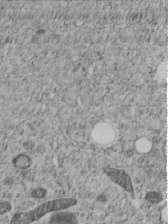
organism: C. elegans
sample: C. elegans embryo early stage